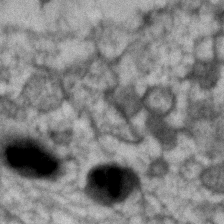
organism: Human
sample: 1205lu cells